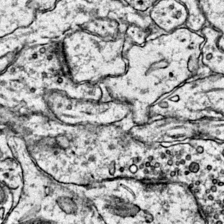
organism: Mouse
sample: Primary visual cortex